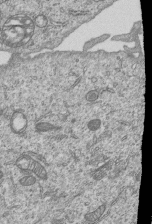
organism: Human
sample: MDA-MB-231 cells